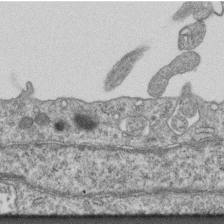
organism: Mouse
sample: Centriole in ependymal cells